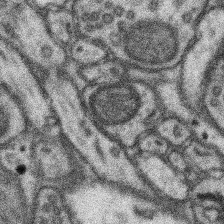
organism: Mouse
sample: Somatosensory cortex neuropil